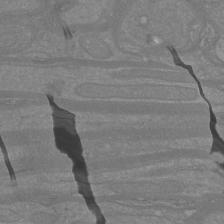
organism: Mouse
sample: Cortical neurons